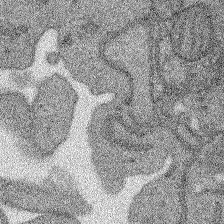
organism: Human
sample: HeLa cells